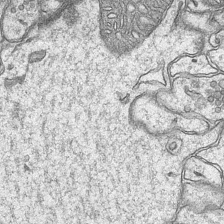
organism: Mouse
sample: CA1 Hippocampus